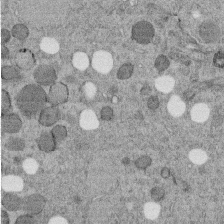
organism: C. elegans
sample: C. elegans embryo early stage